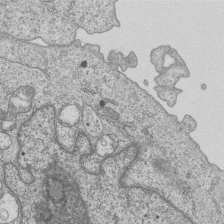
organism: Human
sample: MDA-MB-231 cells